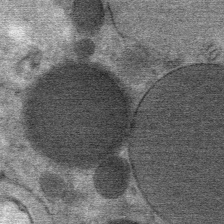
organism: Mouse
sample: Mouse Salivary gland